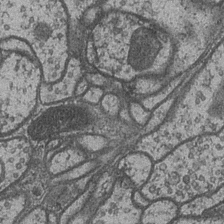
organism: Drosophila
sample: Optic medulla